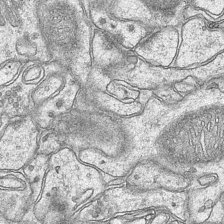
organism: Mouse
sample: CA1 Hippocampus